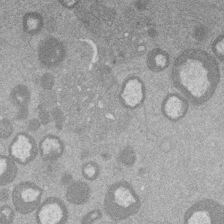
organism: Mouse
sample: Dividing mouse embryo 1 cell stage